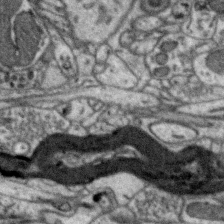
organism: Zebra finch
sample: Brain